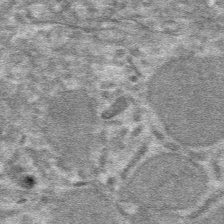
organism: Mouse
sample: Mouse hepatocytes